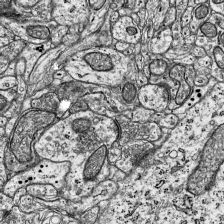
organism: Mouse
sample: Visual Cortex